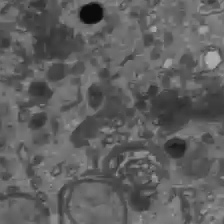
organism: C57BL Mouse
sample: Liver